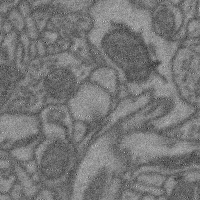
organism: Mouse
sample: Cerebral cortex